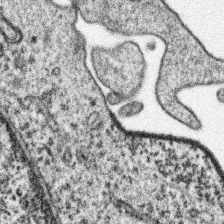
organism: Human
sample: HeLa cells